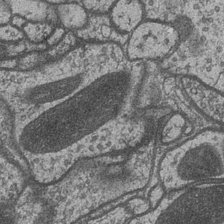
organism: Drosophila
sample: Optic medulla